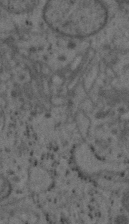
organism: Human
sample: HeLa cells